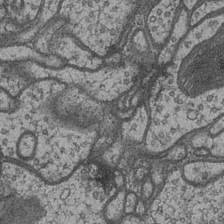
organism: Drosophila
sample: Optic medulla